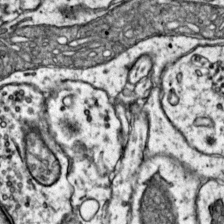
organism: Mouse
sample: Primary visual cortex